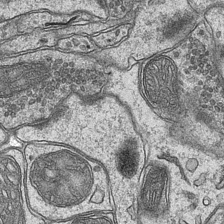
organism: Mouse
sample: CA1 Hippocampus